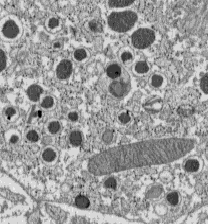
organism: C57BL Mouse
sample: Pancreatic islet